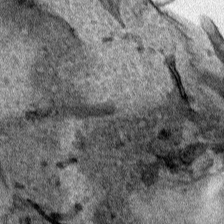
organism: Human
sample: Mitochondria in HCT116 cells